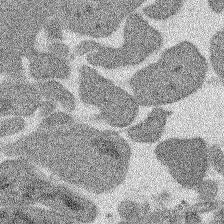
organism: Human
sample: HeLa cells